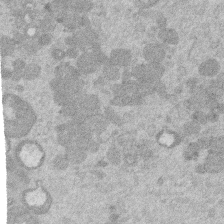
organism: Mouse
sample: Dividing mouse embryo 1 cell stage